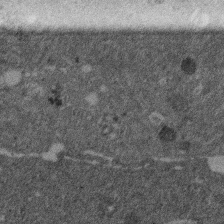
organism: Mouse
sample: Dividing mouse embryo 1 cell stage